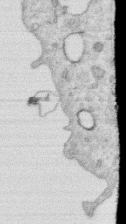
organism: Human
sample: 1205lu cells